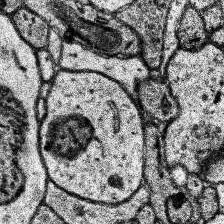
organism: Human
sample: Temporal Lobe